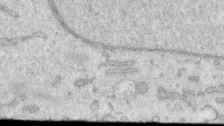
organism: Human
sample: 1205lu cells